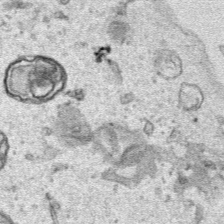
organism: Human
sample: Mitochondria in HCT116 cells